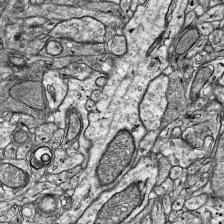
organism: Mouse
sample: Visual Cortex